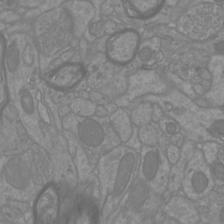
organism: Mouse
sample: Cortical neurons